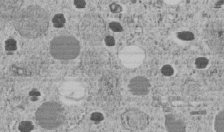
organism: C. elegans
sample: C. elegans embryo early stage